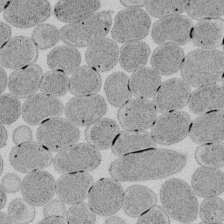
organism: E. coli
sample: Bacterial nucleoid